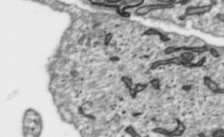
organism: Toxoplasma gondii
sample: Parasites in a vacuole inside a host cell